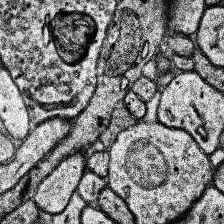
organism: Human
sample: Temporal Lobe